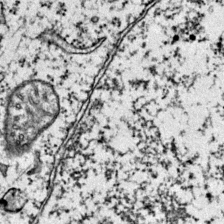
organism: Mouse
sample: Primary visual cortex